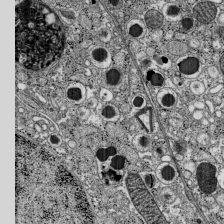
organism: C57BL Mouse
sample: Pancreatic islet